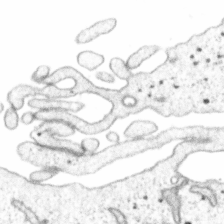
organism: Human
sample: HeLa cells